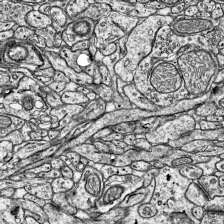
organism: Mouse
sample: Visual Cortex